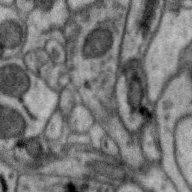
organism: Zebra finch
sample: Brain